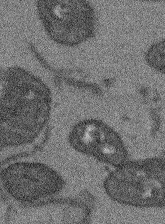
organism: Arabidopsis thaliana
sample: Root tip